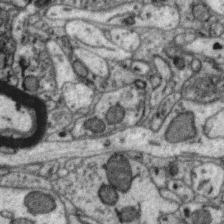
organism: Zebra finch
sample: Brain